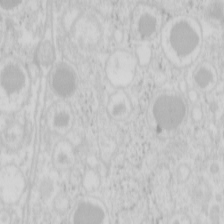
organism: Mouse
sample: Pancreas